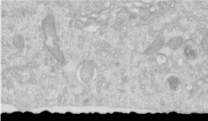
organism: Human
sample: Centriole in RPE cells